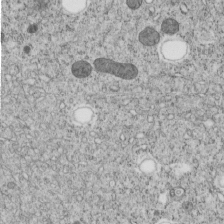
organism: C. elegans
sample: C. elegans embryo early stage